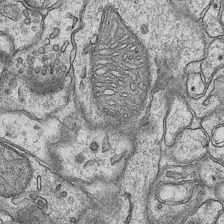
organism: Mouse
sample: CA1 Hippocampus